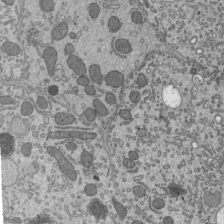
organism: Mouse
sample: Mouse epididymis efferent ductule cilia